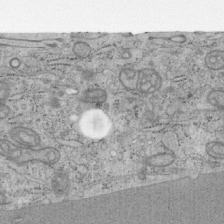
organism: Human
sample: HeLa cells